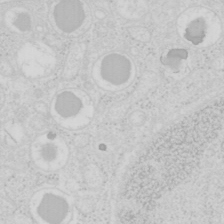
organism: Mouse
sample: Pancreas